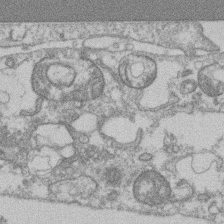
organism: Mouse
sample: T cell stromal cell synapse